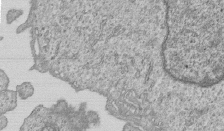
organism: Human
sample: MDA-MB-231 cells